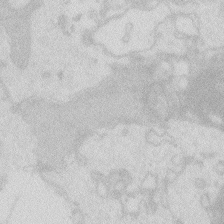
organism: Zebrafish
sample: Macrophage